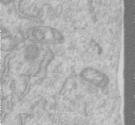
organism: Human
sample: Centriole in RPE cells